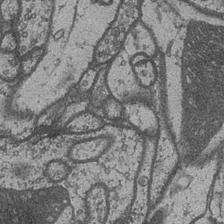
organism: Drosophila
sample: Optic medulla